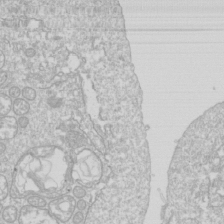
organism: Drosophila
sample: Cell division; meiosis; drosophila spermatocytes